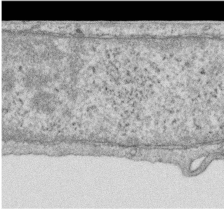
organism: Human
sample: Centriole in RPE cells